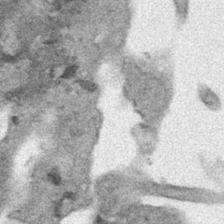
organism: Human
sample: Mitochondria in HCT116 cells